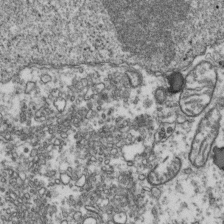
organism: Human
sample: Activated Jurkat CD4+ T cells